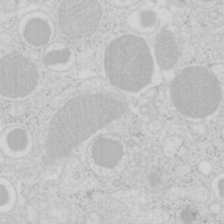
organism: Mouse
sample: Pancreas